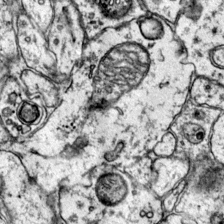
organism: Mouse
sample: Primary visual cortex